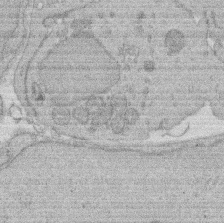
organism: Rat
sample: Salivary granule